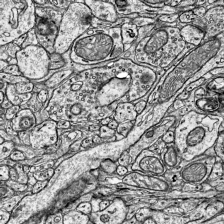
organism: Mouse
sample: Visual Cortex